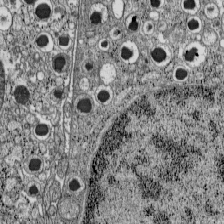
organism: C57BL Mouse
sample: Pancreatic islet